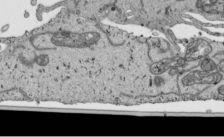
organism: Human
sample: Mitochondria in HCT116 cells